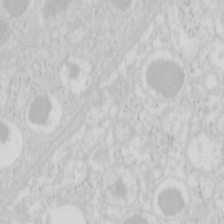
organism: Mouse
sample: Pancreas